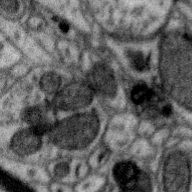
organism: Zebra finch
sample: Brain